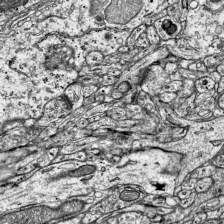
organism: Mouse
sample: Visual Cortex